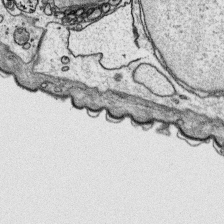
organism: Platynereis dumerilii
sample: Parapodia